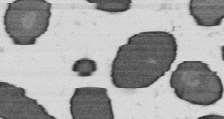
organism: B. subtilis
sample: Bacterial spore